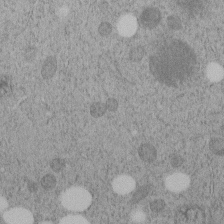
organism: C. elegans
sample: C. elegans embryo early stage